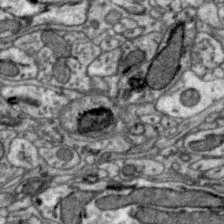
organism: Zebra finch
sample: Brain